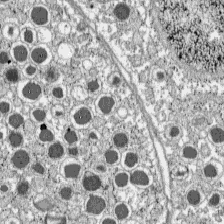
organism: C57BL Mouse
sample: Pancreatic islet